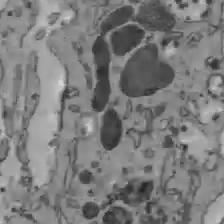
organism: C57BL Mouse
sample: Liver